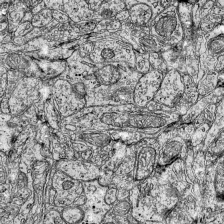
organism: Mouse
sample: Visual Cortex